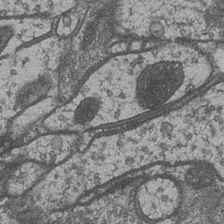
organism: Drosophila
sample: Optic medulla